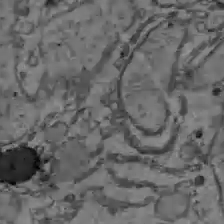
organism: C57BL Mouse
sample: Liver